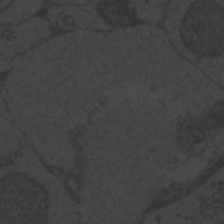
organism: Zebrafish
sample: Macrophage infected with Toxoplasma gondii